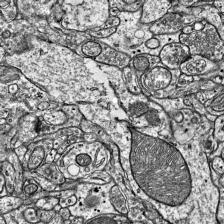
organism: Mouse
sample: Visual Cortex